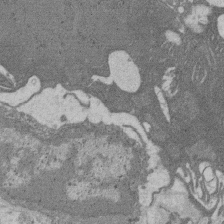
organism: Rat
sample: Salivary granule